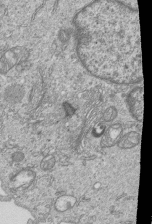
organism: Human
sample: MDA-MB-231 cells